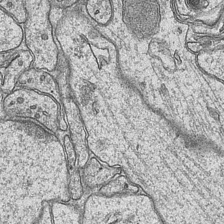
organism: Mouse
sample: CA1 Hippocampus